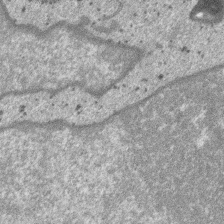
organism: Human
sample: Lung epithelial cells infected with SARS-CoV-2